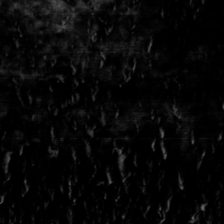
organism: Toxoplasma gondii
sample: Parasites in a vacuole inside a host cell